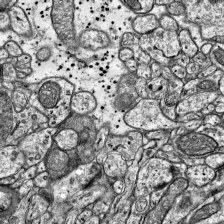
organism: Mouse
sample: Visual Cortex